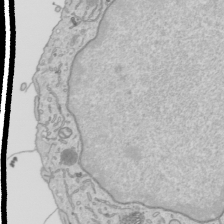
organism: Human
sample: Mitochondria in HCT116 cells